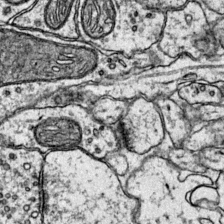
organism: Mouse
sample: Primary visual cortex